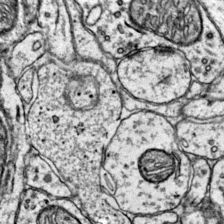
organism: Mouse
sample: Primary visual cortex